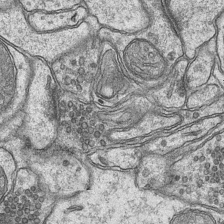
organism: Mouse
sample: CA1 Hippocampus